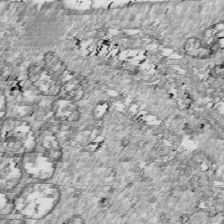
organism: Drosophila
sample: Cell division; meiosis; drosophila spermatocytes